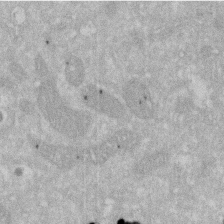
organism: Human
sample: HIV infected U937 cells